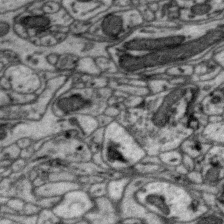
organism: Zebra finch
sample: Brain